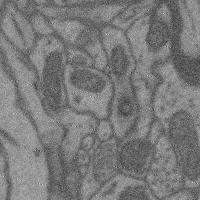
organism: Mouse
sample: Cerebral cortex